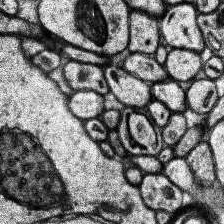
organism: Human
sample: Temporal Lobe